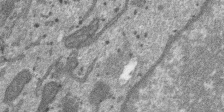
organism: Human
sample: Lung epithelial cells infected with SARS-CoV-2